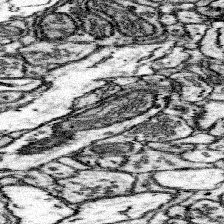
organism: Mouse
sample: Somatosensory cortex neuropil